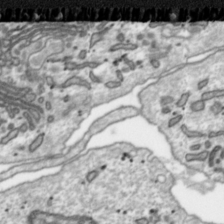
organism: Toxoplasma gondii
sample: Parasites in a vacuole inside a host cell